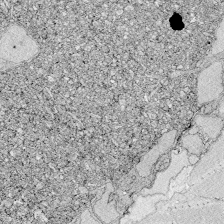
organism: Zebrafish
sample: Whole-Brain